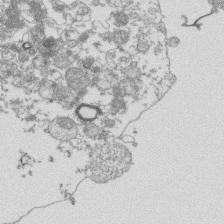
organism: Human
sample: HeLa cell HIV synapse